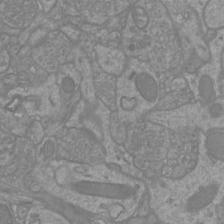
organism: Mouse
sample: Cortical neurons